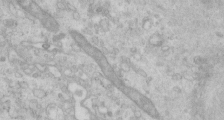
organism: Human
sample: Centriole in RPE cells